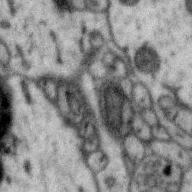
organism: Zebra finch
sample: Brain